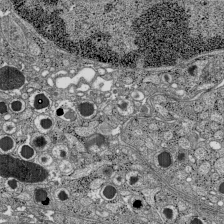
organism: C57BL Mouse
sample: Pancreatic islet